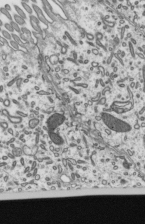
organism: Mouse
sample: Mouse epididymis efferent ductule cilia